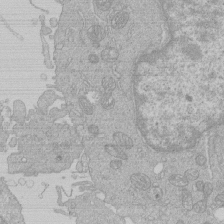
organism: Human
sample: Macrophage cells